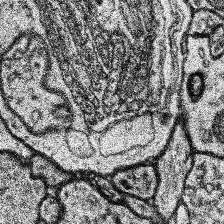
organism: Human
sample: Temporal Lobe